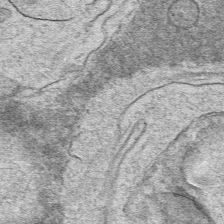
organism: Mouse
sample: Mouse hepatocytes